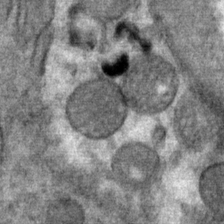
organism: Mouse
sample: Mouse Salivary gland